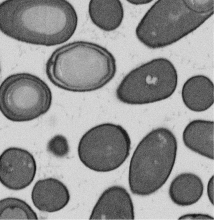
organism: B. subtilis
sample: Bacterial spore